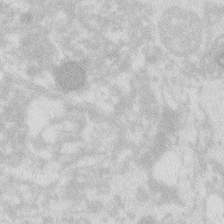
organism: Zebrafish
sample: Macrophage